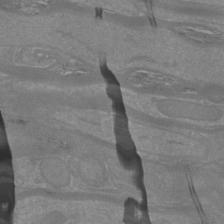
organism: Mouse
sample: Cortical neurons